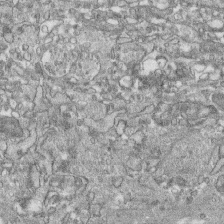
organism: Human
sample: CRL-1474